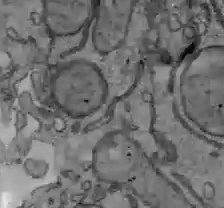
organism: C57BL Mouse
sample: Liver